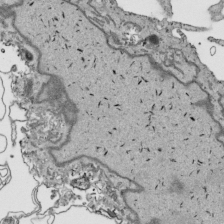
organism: Human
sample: Mitochondria in HCT116 cells